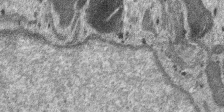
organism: Human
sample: Lung epithelial cells infected with SARS-CoV-2